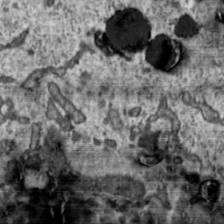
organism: Toxoplasma gondii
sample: Parasites in a vacuole inside a host cell